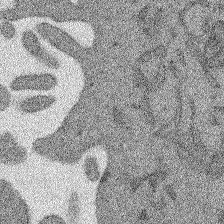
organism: Human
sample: HeLa cells